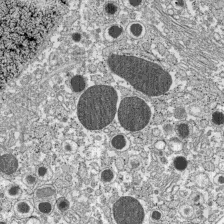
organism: C57BL Mouse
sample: Pancreatic islet